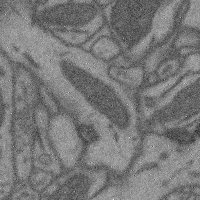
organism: Mouse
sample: Cerebral cortex